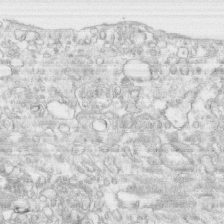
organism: Human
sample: CRL-1474